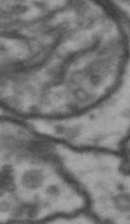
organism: Drosophila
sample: Brain